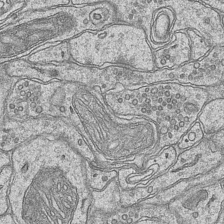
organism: Mouse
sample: CA1 Hippocampus